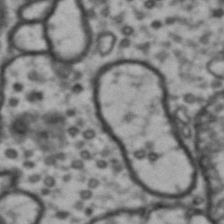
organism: Drosophila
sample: Brain